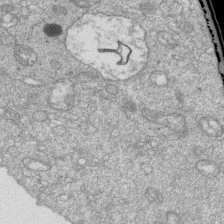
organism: Human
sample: HeLa cell HIV synapse